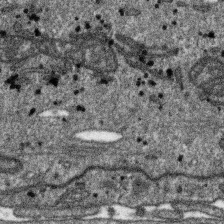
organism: Human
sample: Lung epithelial cells infected with SARS-CoV-2